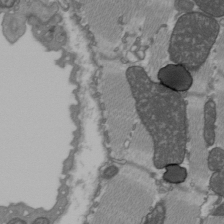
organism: C57BL Mouse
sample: Heart